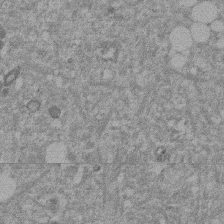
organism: Mouse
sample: Dividing mouse embryo 1 cell stage